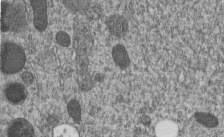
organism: C. elegans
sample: C. elegans embryo early stage